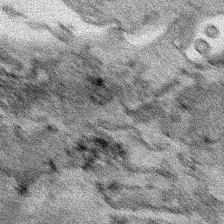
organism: Human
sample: Mitochondria in HCT116 cells